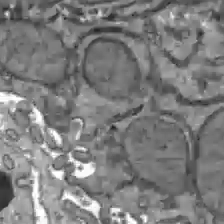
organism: C57BL Mouse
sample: Liver